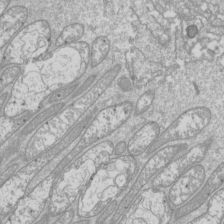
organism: Drosophila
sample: Cell division; meiosis; drosophila spermatocytes